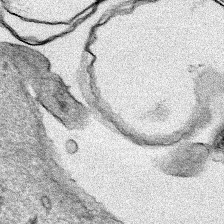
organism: Human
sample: Mitochondria in HCT116 cells